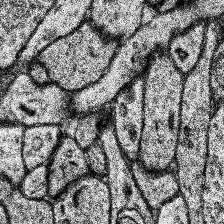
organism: Human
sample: Temporal Lobe